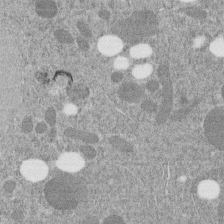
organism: C. elegans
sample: C. elegans embryo early stage